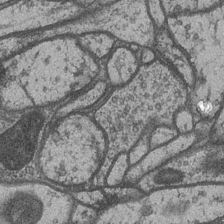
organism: Drosophila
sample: Optic medulla